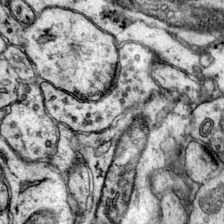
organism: Mouse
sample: Primary visual cortex